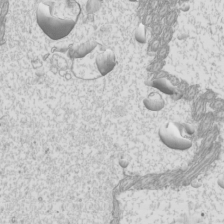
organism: Mouse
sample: Cilia; mouse epididymis